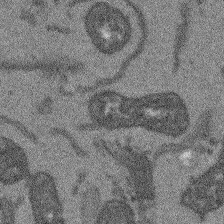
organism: Arabidopsis thaliana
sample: Root tip